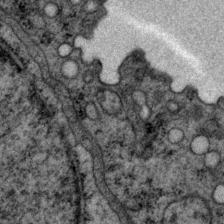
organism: P. pacificus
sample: Pharynx